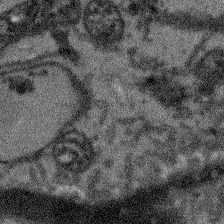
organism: Arabidopsis thaliana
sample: Root tip